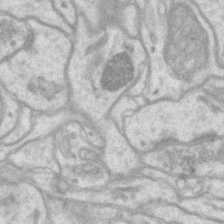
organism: Mouse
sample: CA1 Hippocampus